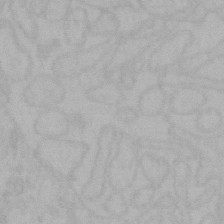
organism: Mouse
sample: Choroid plexus